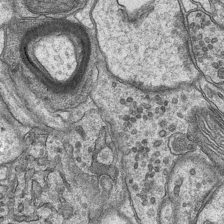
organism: Mouse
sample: CA1 Hippocampus